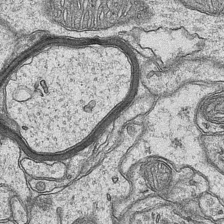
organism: Mouse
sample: CA1 Hippocampus